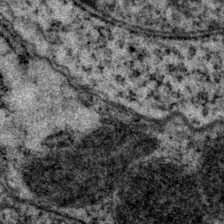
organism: P. pacificus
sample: Pharynx